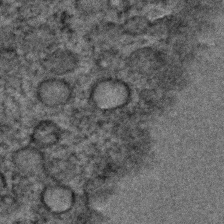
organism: C. elegans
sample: C. elegans embryo